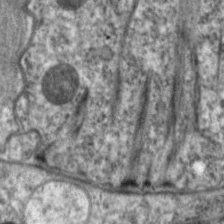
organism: C. elegans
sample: Pharynx